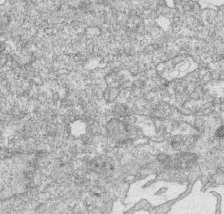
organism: Human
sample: HeLa cell HIV synapse